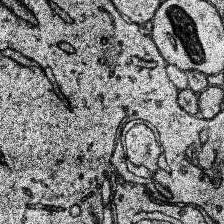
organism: Human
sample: Temporal Lobe